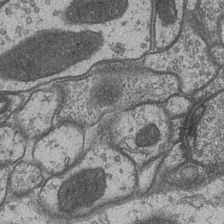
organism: Drosophila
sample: Optic medulla